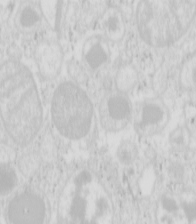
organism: Mouse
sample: Pancreas